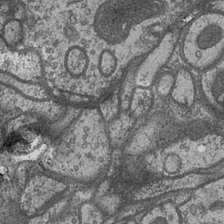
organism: Drosophila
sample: Optic medulla